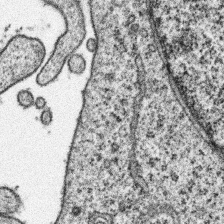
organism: Human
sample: HeLa cells